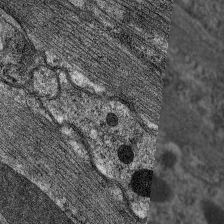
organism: C. elegans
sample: Pharynx